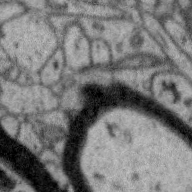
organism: Zebra finch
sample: Brain